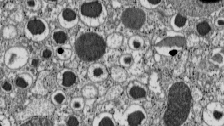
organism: C57BL Mouse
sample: Pancreatic islet